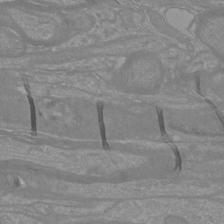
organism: Mouse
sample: Cortical neurons